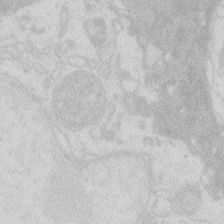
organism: Zebrafish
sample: Macrophage